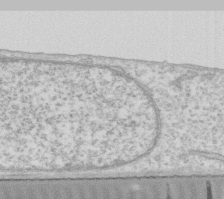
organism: Human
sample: Fibroblast cells